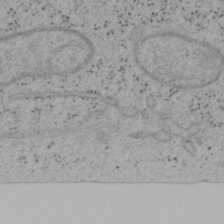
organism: Human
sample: HeLa cells